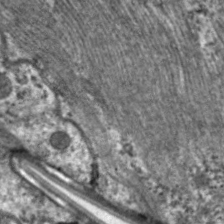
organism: C. elegans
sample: Pharynx